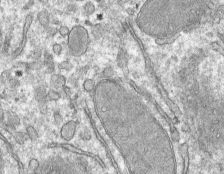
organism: Mouse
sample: Mouse hepatocytes